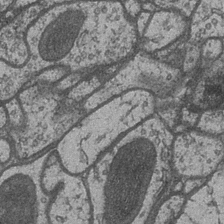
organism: Drosophila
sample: Optic medulla